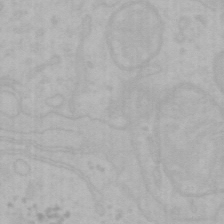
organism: Mouse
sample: Choroid plexus